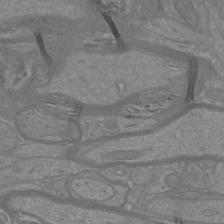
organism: Mouse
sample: Cortical neurons